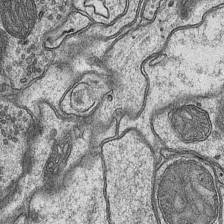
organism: Mouse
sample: CA1 Hippocampus